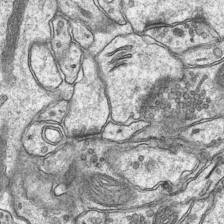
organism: Mouse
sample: CA1 Hippocampus